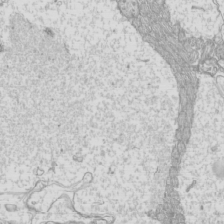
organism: Mouse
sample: Cilia; mouse epididymis